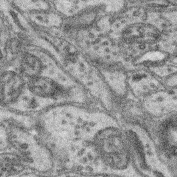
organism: Mouse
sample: Retina